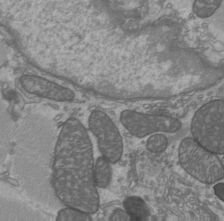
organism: C57BL Mouse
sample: Heart